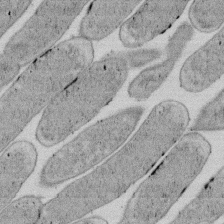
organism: E. coli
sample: Bacterial nucleoid